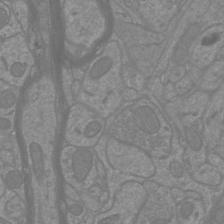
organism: Mouse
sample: Cortical neurons